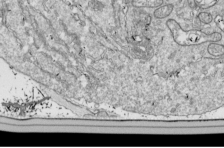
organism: Drosophila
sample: Cell division; meiosis; drosophila spermatocytes